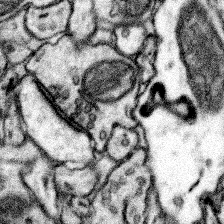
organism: Mouse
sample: Somatosensory cortex neuropil